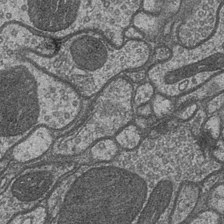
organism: Drosophila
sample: Optic medulla